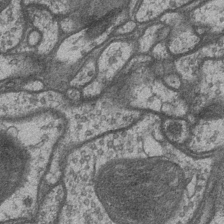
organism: Drosophila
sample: Optic medulla